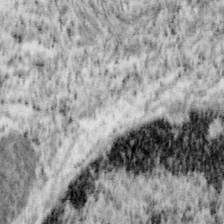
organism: Mouse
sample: OT-I killer T cells with ID8 ovarian cancer cells